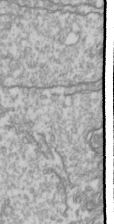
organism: Drosophila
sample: Cell division; meiosis; drosophila spermatocytes